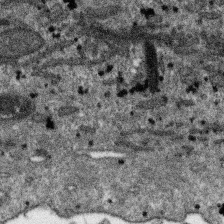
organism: Human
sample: Lung epithelial cells infected with SARS-CoV-2